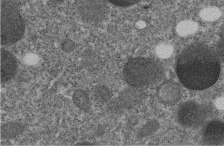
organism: C. elegans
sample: C. elegans embryo early stage